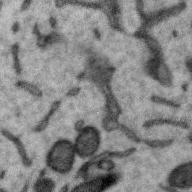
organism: Zebra finch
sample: Brain